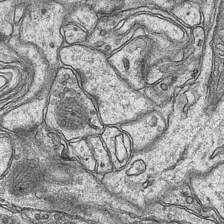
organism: Mouse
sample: CA1 Hippocampus